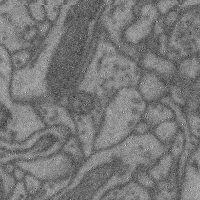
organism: Mouse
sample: Cerebral cortex